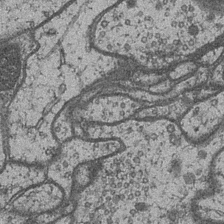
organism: Drosophila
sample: Optic medulla